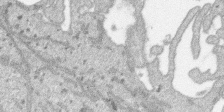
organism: Human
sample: Lung epithelial cells infected with SARS-CoV-2